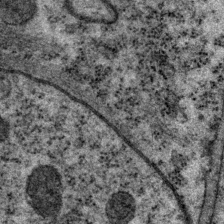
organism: P. pacificus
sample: Pharynx